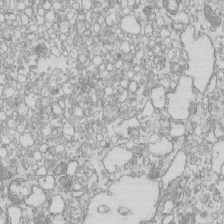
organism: Mouse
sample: Macrophages